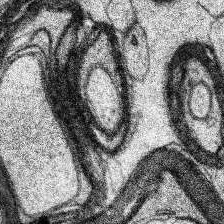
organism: Human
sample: Temporal Lobe